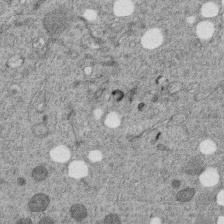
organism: C. elegans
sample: C. elegans embryo early stage